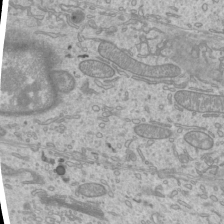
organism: Mouse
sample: Cilia; mouse epididymis